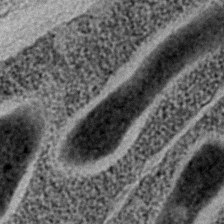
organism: C. elegans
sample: C. elegans embryo